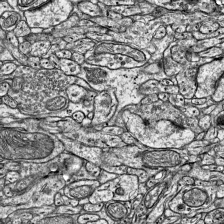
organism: Mouse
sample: Visual Cortex